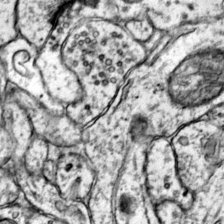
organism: Mouse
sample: Primary visual cortex